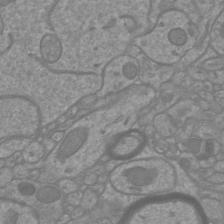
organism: Mouse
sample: Cortical neurons